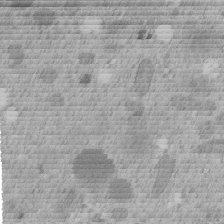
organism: C. elegans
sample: C. elegans embryo early stage